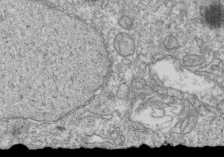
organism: Human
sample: HeLa cell HIV synapse